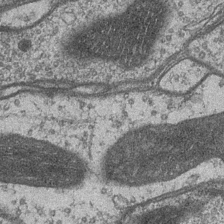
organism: Drosophila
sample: Optic medulla